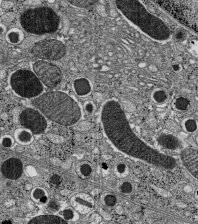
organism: C57BL Mouse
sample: Pancreatic islet